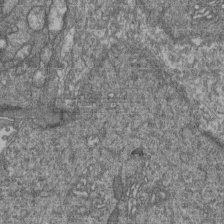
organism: Human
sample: Retinal organoid Rod and Cone cells